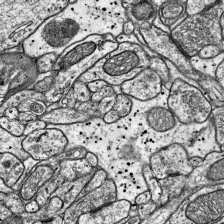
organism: Mouse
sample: Visual Cortex